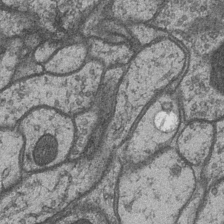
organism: Drosophila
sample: Optic medulla